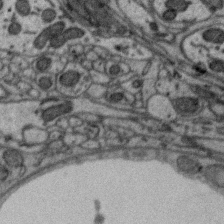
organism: Zebra finch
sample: Brain